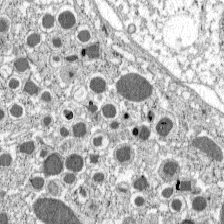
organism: C57BL Mouse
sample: Pancreatic islet